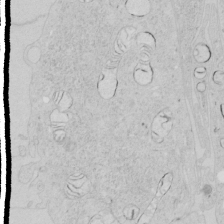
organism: Human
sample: Mitochondria in HCT116 cells